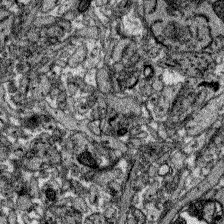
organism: Zebrafish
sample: Larval olfactory bulb